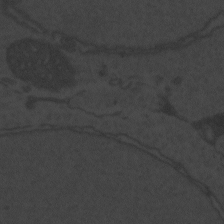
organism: Zebrafish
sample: Macrophage infected with Toxoplasma gondii